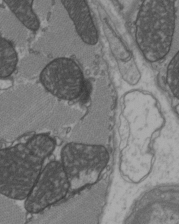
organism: C57BL Mouse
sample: Heart